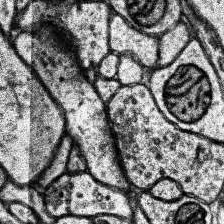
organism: Human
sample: Temporal Lobe